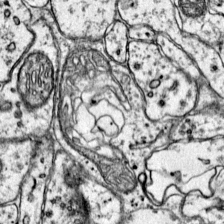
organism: Mouse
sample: Primary visual cortex